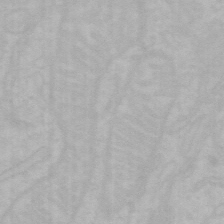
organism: Mouse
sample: Choroid plexus